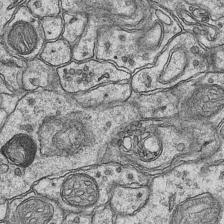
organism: Mouse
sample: CA1 Hippocampus